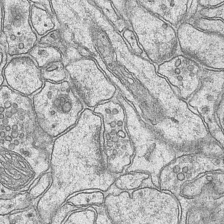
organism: Mouse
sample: CA1 Hippocampus